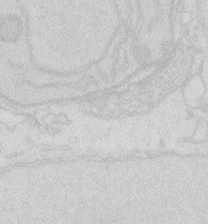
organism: Zebrafish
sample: Macrophage